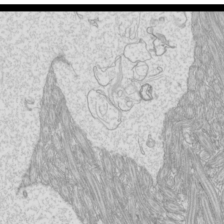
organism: Mouse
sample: Cilia; mouse epididymis